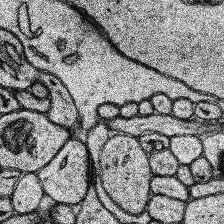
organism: Human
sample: Temporal Lobe